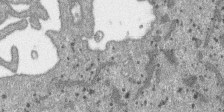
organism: Human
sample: Lung epithelial cells infected with SARS-CoV-2